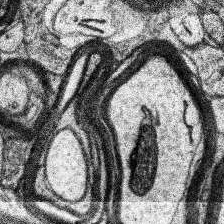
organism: Human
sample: Temporal Lobe